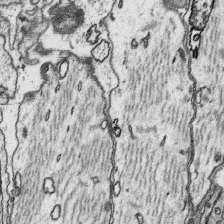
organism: Platynereis dumerilii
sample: Parapodia